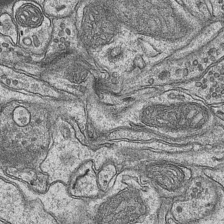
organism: Mouse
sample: CA1 Hippocampus